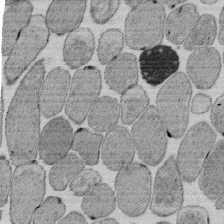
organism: E. coli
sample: Bacterial nucleoid